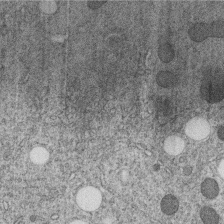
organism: C. elegans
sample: C. elegans embryo early stage